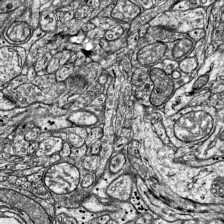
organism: Mouse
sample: Visual Cortex